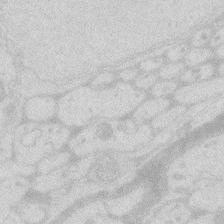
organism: Zebrafish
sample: Macrophage